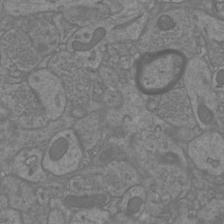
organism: Mouse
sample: Cortical neurons